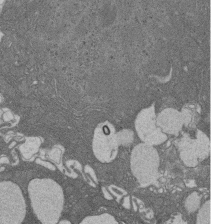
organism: Rat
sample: Salivary granule